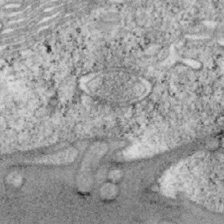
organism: Mouse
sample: OT-I killer T cells with ID8 ovarian cancer cells